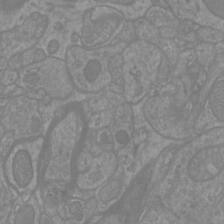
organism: Mouse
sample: Cortical neurons